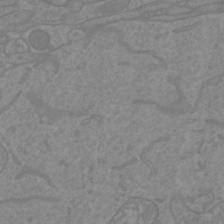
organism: Mouse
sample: Cortical neurons